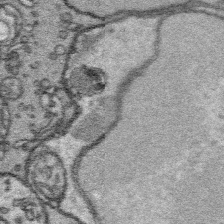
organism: Platynereis dumerilii